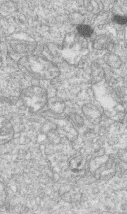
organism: Human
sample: HeLa cell HIV synapse